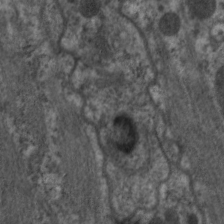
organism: C. elegans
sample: Pharynx